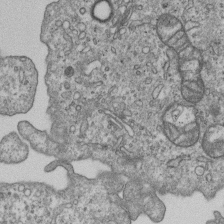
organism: Human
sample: MDA-MB-231 cells